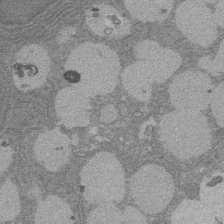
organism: Rat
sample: Salivary granule